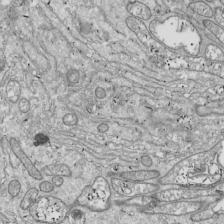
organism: Drosophila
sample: Cell division; meiosis; drosophila spermatocytes